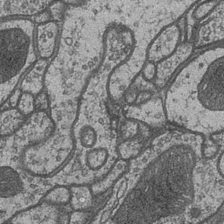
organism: Drosophila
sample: Optic medulla